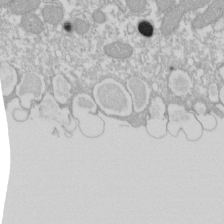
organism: Xenopus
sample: Cilia; centrioles in frog embryo cells